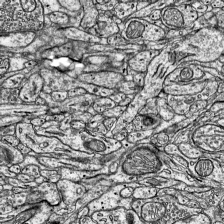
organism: Mouse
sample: Visual Cortex